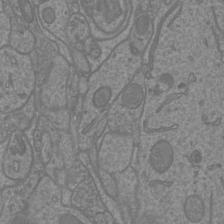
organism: Mouse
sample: Cortical neurons